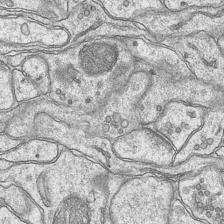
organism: Mouse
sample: CA1 Hippocampus